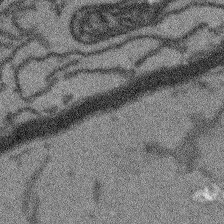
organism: Arabidopsis thaliana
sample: Root tip